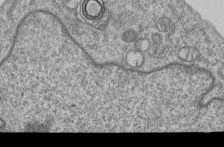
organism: Human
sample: MDA-MB-231 cells